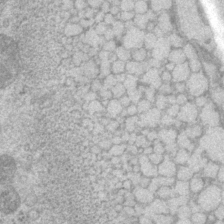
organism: P. pacificus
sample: Pharynx